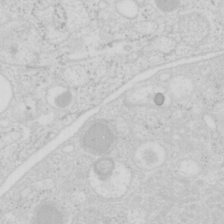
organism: Mouse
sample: Pancreas